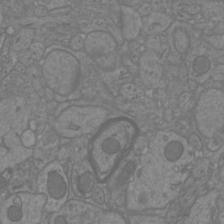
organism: Mouse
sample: Cortical neurons